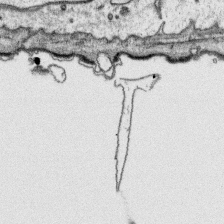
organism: Platynereis dumerilii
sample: Parapodia